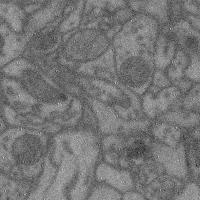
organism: Mouse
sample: Cerebral cortex